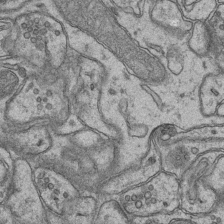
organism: Mouse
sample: CA1 Hippocampus